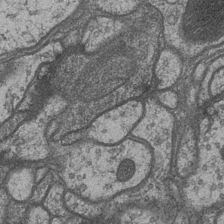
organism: Drosophila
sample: Optic medulla